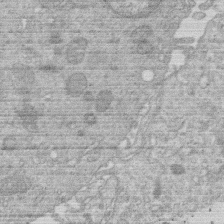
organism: Human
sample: Macrophage cells